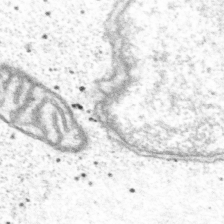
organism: Human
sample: HeLa cells